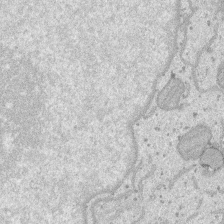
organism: Human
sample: Lung epithelial cells infected with SARS-CoV-2